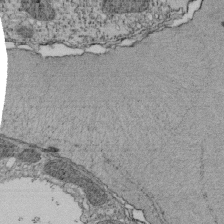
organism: Tetrahymena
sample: Cilia in tetrahymena